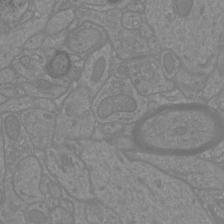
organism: Mouse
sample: Cortical neurons